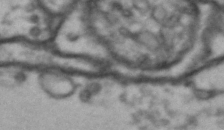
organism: Drosophila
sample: Brain